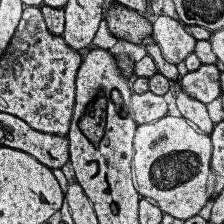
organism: Human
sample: Temporal Lobe